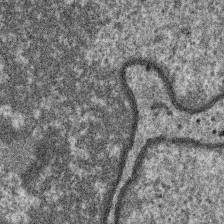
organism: Human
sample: Lung epithelial cells infected with SARS-CoV-2